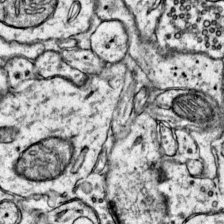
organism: Mouse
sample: Primary visual cortex